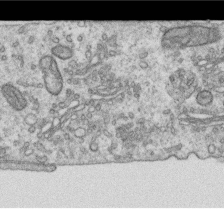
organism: Human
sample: Centriole in RPE cells